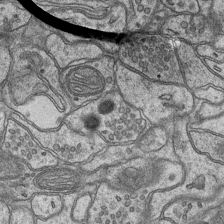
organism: Mouse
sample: CA1 Hippocampus